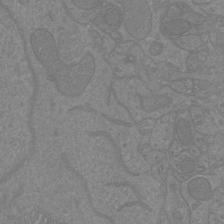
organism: Mouse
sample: Cortical neurons